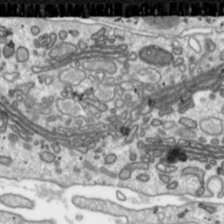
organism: Toxoplasma gondii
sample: Parasites in a vacuole inside a host cell